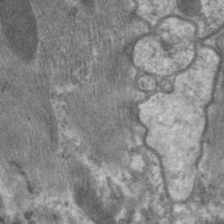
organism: C. elegans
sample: Pharynx